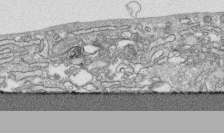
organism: Human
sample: CRL-1474